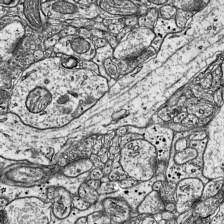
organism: Mouse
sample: Visual Cortex